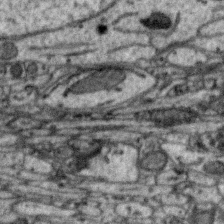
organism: Zebra finch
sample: Brain